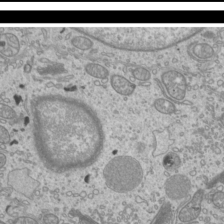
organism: Mouse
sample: Cilia; mouse epididymis